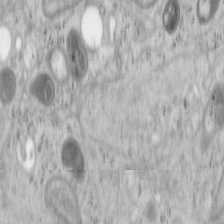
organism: Human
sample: HeLa cells